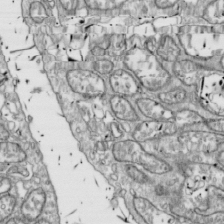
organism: Drosophila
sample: Cell division; meiosis; drosophila spermatocytes